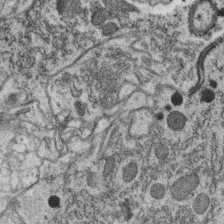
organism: C. elegans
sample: C. elegans oocyte; sperm cells